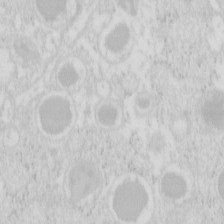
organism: Mouse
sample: Pancreas